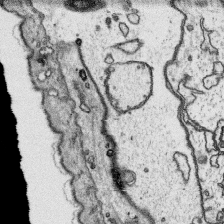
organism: Platynereis dumerilii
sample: Parapodia